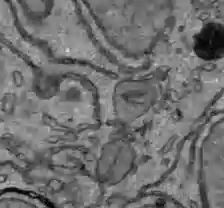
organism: C57BL Mouse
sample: Liver